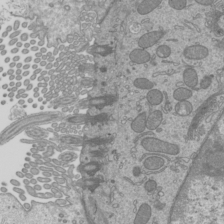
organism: Mouse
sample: Cilia; mouse epididymis